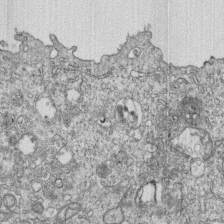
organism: Human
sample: HeLa cell HIV synapse